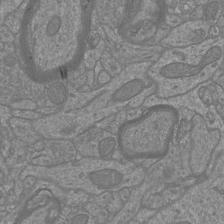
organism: Mouse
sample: Cortical neurons